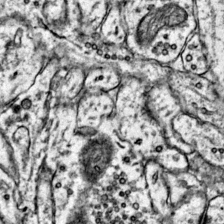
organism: Mouse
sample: Primary visual cortex